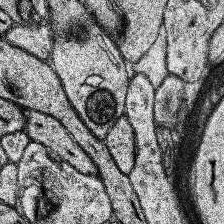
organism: Human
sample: Temporal Lobe